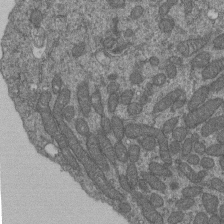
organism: Human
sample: Retinal organoid Rod and Cone cells